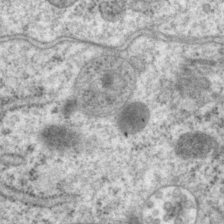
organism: P. pacificus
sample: Pharynx